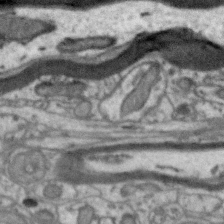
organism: Zebra finch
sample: Brain